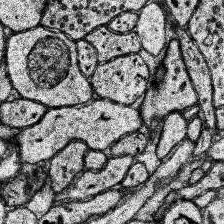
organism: Human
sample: Temporal Lobe